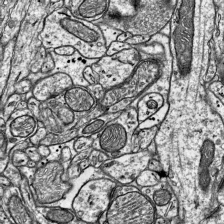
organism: Mouse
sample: Visual Cortex